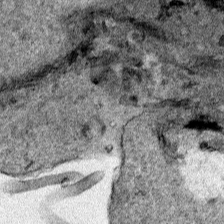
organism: Human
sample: Mitochondria in HCT116 cells